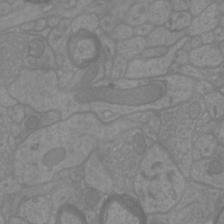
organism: Mouse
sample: Cortical neurons